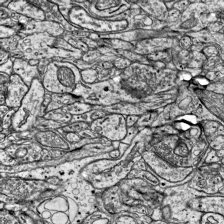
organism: Mouse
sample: Visual Cortex